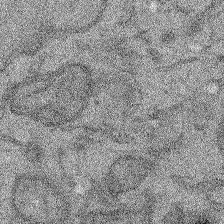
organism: Human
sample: HeLa cells